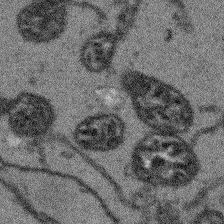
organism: Arabidopsis thaliana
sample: Root tip